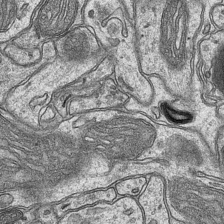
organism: Mouse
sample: CA1 Hippocampus